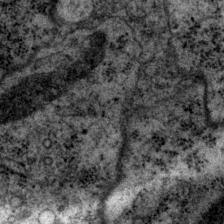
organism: P. pacificus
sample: Pharynx